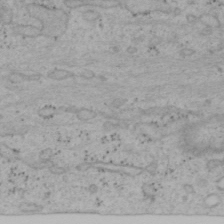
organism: Human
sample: HeLa cells